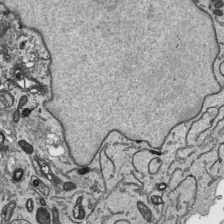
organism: Human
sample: Mitochondria in HCT116 cells